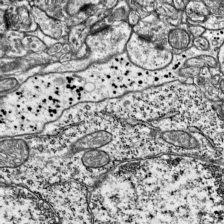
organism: Mouse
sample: Visual Cortex